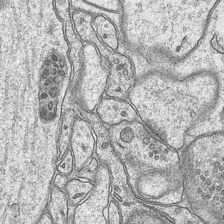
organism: Mouse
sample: CA1 Hippocampus